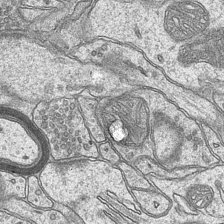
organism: Mouse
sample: CA1 Hippocampus